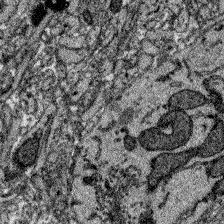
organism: Zebrafish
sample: Larval olfactory bulb